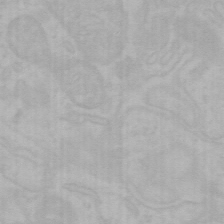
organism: Mouse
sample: Choroid plexus